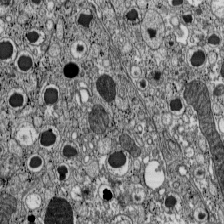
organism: C57BL Mouse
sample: Pancreatic islet